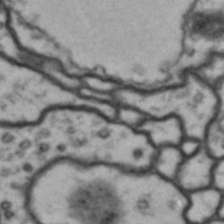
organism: Drosophila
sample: Brain